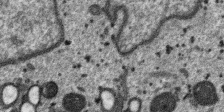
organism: Human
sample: Lung epithelial cells infected with SARS-CoV-2